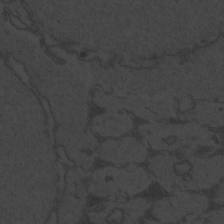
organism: Zebrafish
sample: Macrophage infected with Toxoplasma gondii